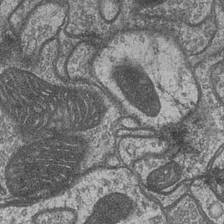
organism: Drosophila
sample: Optic medulla